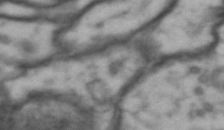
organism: Drosophila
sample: Brain